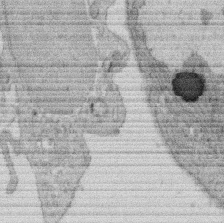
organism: Rat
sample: Salivary granule